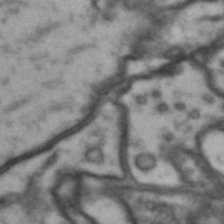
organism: Drosophila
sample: Brain